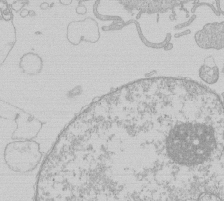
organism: Human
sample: Macrophage cells